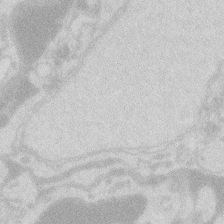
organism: Zebrafish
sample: Macrophage